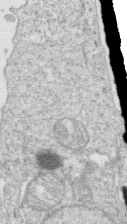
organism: Human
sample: HeLa cell HIV synapse